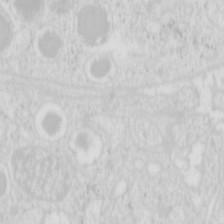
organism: Mouse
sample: Pancreas